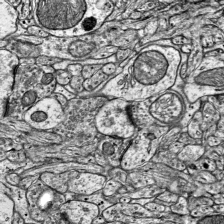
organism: Mouse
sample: Visual Cortex